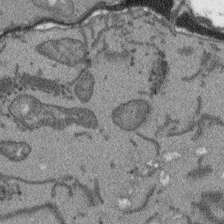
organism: Arabidopsis thaliana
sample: Root tip